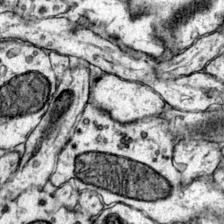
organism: Mouse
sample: Primary visual cortex